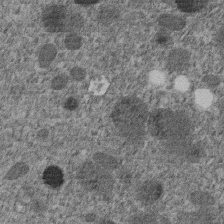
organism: C. elegans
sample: C. elegans embryo early stage